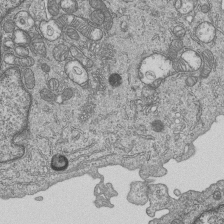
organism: Human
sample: MDA-MB-231 cells